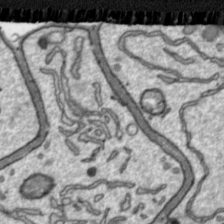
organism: Toxoplasma gondii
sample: Parasites in a vacuole inside a host cell